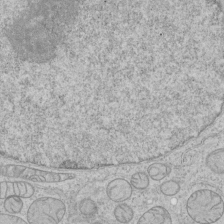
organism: Human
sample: Mitochondria in HCT116 cells